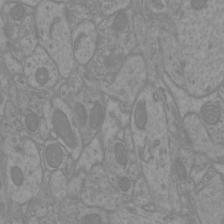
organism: Mouse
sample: Cortical neurons